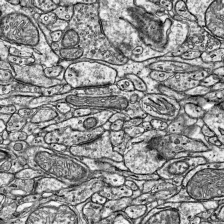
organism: Mouse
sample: Visual Cortex